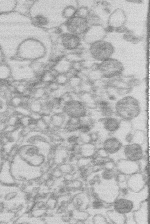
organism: Human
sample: Macrophage cells